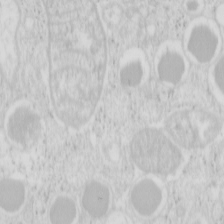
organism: Mouse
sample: Pancreas